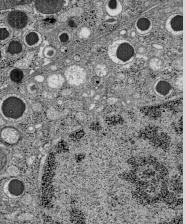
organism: C57BL Mouse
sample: Pancreatic islet